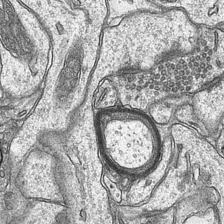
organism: Mouse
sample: CA1 Hippocampus